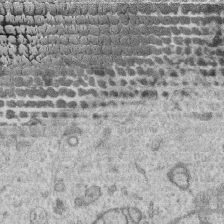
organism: Human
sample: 1205lu cells